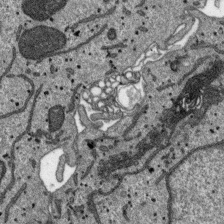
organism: Human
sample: Lung epithelial cells, uninfected (mock) control